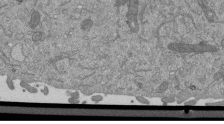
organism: Mouse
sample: ED-1 cell nuclei; centrioles